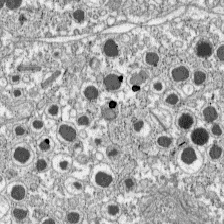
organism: C57BL Mouse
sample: Pancreatic islet